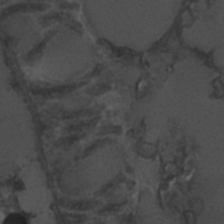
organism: C. elegans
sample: C. elegans embryo